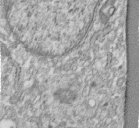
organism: Human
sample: Centriole in fibroblast cells